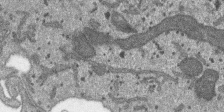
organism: Human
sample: Lung epithelial cells infected with SARS-CoV-2